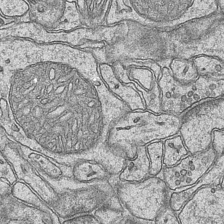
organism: Mouse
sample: CA1 Hippocampus